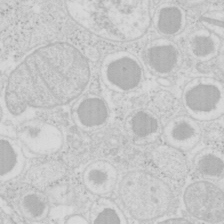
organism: Mouse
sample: Pancreas